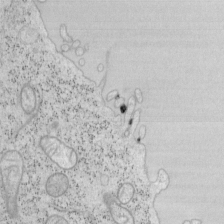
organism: Mouse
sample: OT-I killer T cells with ID8 ovarian cancer cells